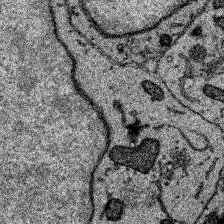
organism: Zebrafish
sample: Larval olfactory bulb